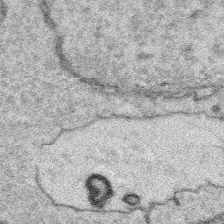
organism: Platynereis dumerilii